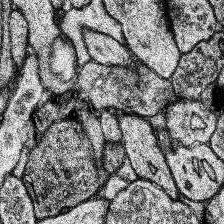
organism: Human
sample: Temporal Lobe